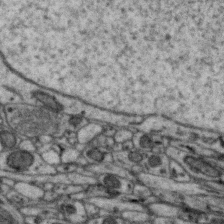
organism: Zebra finch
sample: Brain